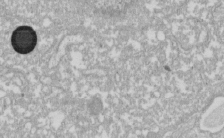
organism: Xenopus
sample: Cilia; centrioles in frog embryo cells